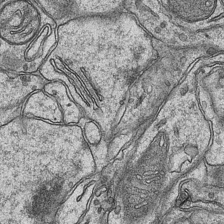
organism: Mouse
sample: CA1 Hippocampus